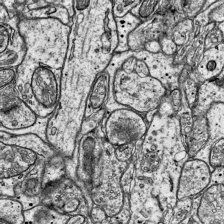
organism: Mouse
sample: Visual Cortex